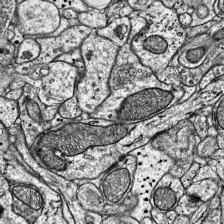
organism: Mouse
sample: Visual Cortex